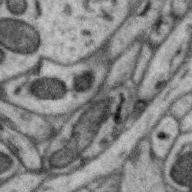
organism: Zebra finch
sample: Brain